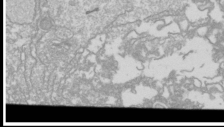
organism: Drosophila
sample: Cell division; meiosis; drosophila spermatocytes